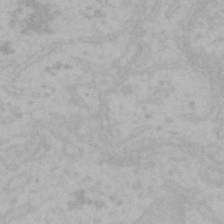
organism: Mouse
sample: Choroid plexus